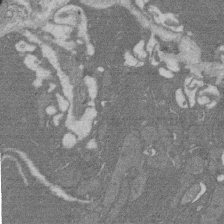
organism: Rat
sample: Salivary granule